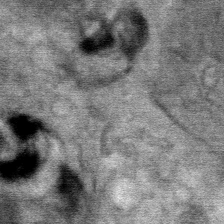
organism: Mouse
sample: Mouse Salivary gland